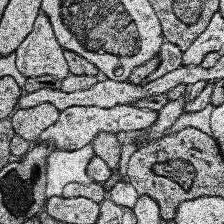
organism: Human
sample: Temporal Lobe